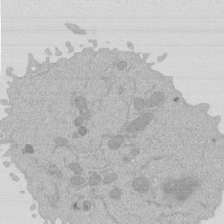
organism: Mouse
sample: Activated Pmel transgenic CD8+ T Cells